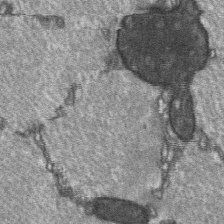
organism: C57BL Mouse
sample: Soleus